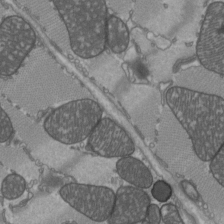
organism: C57BL Mouse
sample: Heart